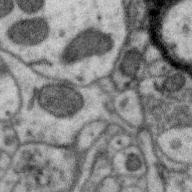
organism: Zebra finch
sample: Brain